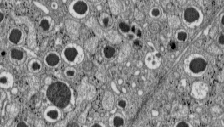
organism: C57BL Mouse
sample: Pancreatic islet